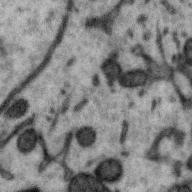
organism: Zebra finch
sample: Brain